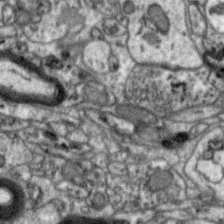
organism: Zebra finch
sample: Brain